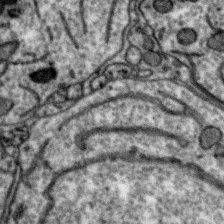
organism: Zebra finch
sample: Brain